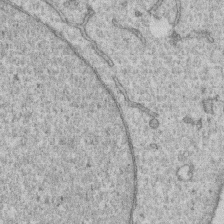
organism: Human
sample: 1205lu cells